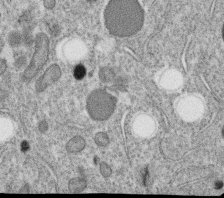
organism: C. elegans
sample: C. elegans oocyte; sperm cells